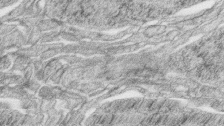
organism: Zebrafish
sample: synaptic ribbons in rod cells and cone cells